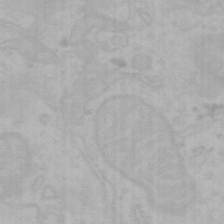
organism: Mouse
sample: Choroid plexus